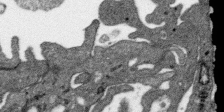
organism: Human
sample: Lung epithelial cells, uninfected (mock) control